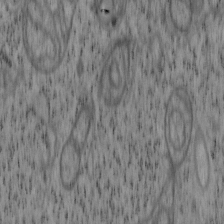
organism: Human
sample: HeLa cells